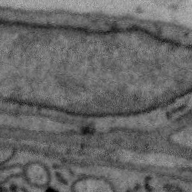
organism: Zebra finch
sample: Brain